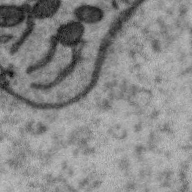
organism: Zebra finch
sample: Brain